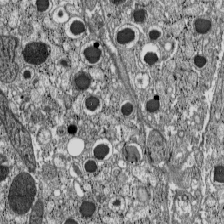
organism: C57BL Mouse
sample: Pancreatic islet